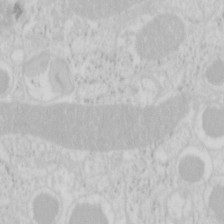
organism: Mouse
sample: Pancreas